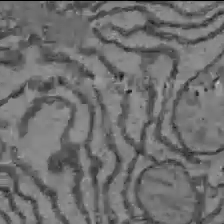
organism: C57BL Mouse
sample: Liver